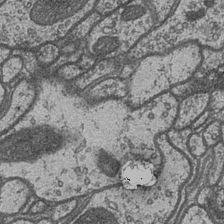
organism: Drosophila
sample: Optic medulla